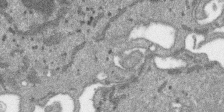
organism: Human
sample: Lung epithelial cells infected with SARS-CoV-2